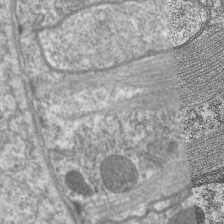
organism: C. elegans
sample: Pharynx